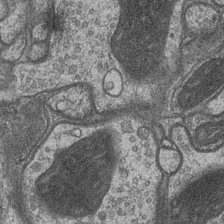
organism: Drosophila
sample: Optic medulla